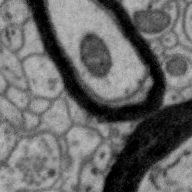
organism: Zebra finch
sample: Brain